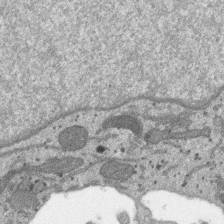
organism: Human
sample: Lung epithelial cells infected with SARS-CoV-2